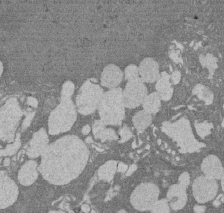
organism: Rat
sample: Salivary granule